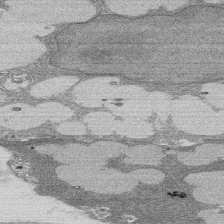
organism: Rat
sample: Salivary granule